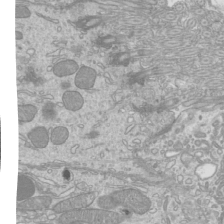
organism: Mouse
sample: Cilia; mouse epididymis